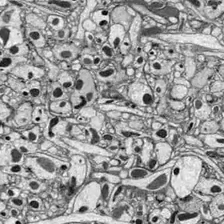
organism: Drosophila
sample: Optic lobe